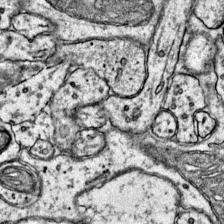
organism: Mouse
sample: Primary visual cortex